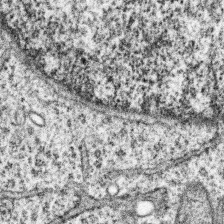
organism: Human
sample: HeLa cells